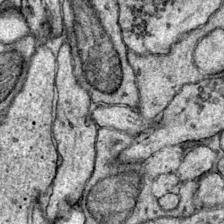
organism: Mouse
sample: Primary visual cortex